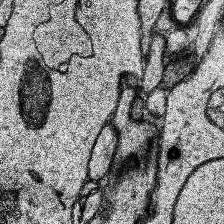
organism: Human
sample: Temporal Lobe